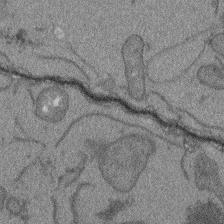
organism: Arabidopsis thaliana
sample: Root tip